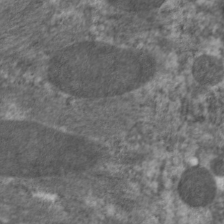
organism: C. elegans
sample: Pharynx